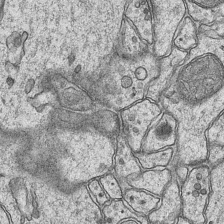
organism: Mouse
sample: CA1 Hippocampus